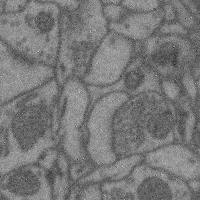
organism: Mouse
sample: Cerebral cortex